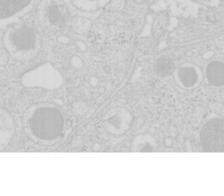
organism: Mouse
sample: Pancreas